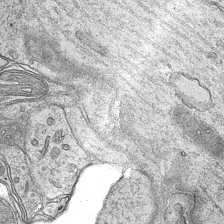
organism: Mouse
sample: CA1 Hippocampus